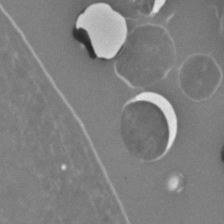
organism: C. elegans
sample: C. elegans embryo